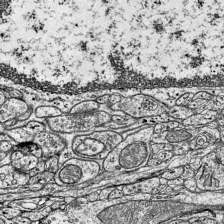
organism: Mouse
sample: Visual Cortex